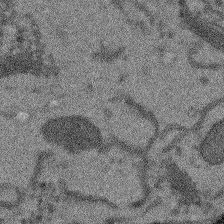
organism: Arabidopsis thaliana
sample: Root tip